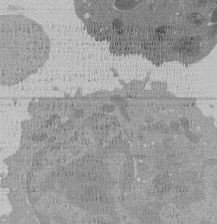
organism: Mouse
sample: Activated Pmel transgenic CD8+ T Cells